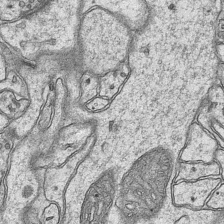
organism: Mouse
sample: CA1 Hippocampus